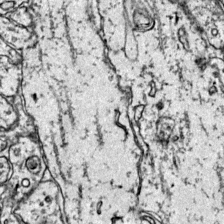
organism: Mouse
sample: Primary visual cortex